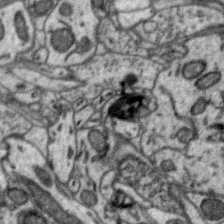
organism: Zebra finch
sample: Brain